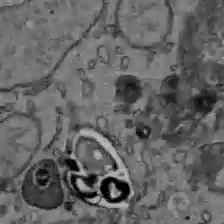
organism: C57BL Mouse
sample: Liver